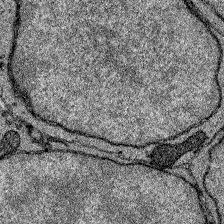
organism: Zebrafish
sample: Larval olfactory bulb